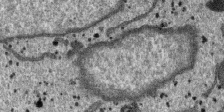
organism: Human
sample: Lung epithelial cells, uninfected (mock) control